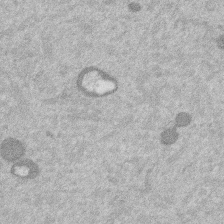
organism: Mouse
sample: Dividing mouse embryo 1 cell stage